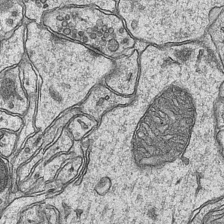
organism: Mouse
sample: CA1 Hippocampus